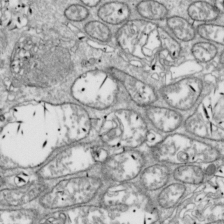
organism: Drosophila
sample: Cell division; meiosis; drosophila spermatocytes